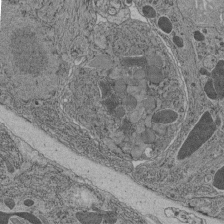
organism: C. elegans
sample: C. elegans pharynx